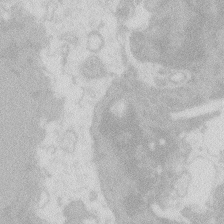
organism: Zebrafish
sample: Macrophage